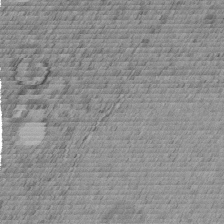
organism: C. elegans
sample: C. elegans embryo early stage